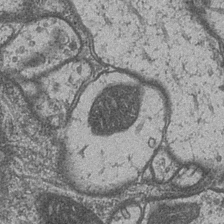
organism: Drosophila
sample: Optic medulla